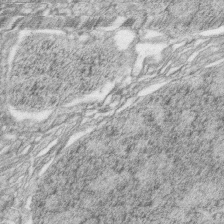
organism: Zebrafish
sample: synaptic ribbons in rod cells and cone cells